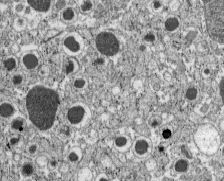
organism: C57BL Mouse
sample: Pancreatic islet